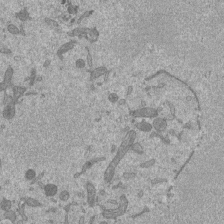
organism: Mouse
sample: ED-1 cell nuclei; centrioles